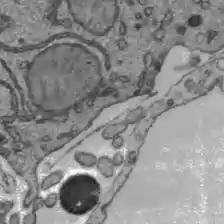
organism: C57BL Mouse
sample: Liver